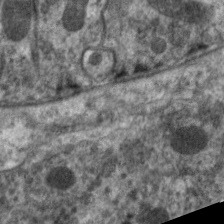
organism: C. elegans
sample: Pharynx